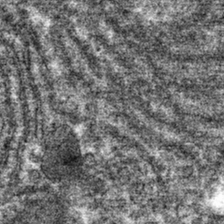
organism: Mouse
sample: Mouse hepatocytes